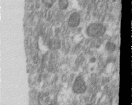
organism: Human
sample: Centriole in RPE cells